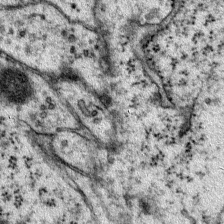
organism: Mouse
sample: Primary visual cortex